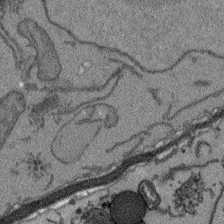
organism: Arabidopsis thaliana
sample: Root tip